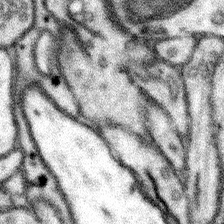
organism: Mouse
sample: Somatosensory cortex neuropil